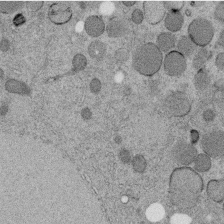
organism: C. elegans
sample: C. elegans embryo early stage